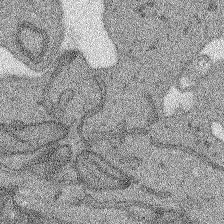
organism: Human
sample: HeLa cells